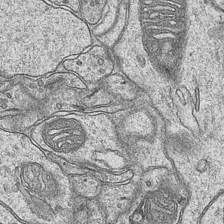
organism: Mouse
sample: CA1 Hippocampus